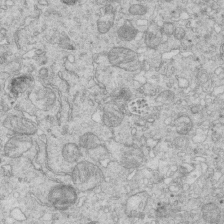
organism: Mouse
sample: Multiciliated cells